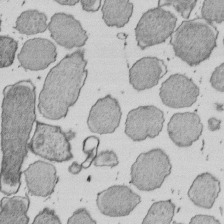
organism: E. coli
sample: Bacterial nucleoid